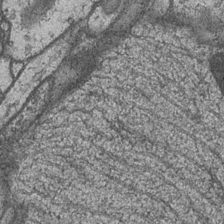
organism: Drosophila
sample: Optic medulla